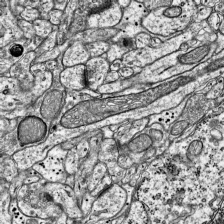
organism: Mouse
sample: Visual Cortex